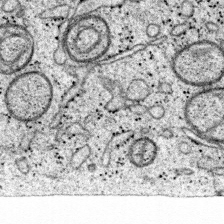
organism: Human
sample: HeLa cells